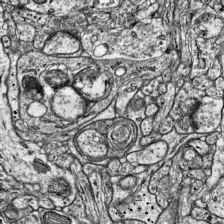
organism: Mouse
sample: Visual Cortex